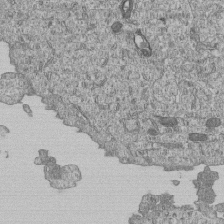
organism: Human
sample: MDA-MB-231 cells